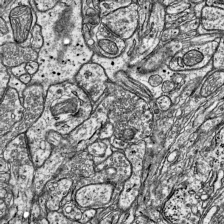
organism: Mouse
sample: Visual Cortex